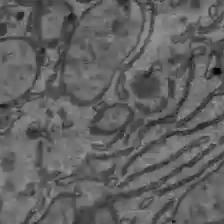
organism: C57BL Mouse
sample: Liver